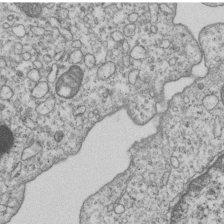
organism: Human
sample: MDA-MB-231 cells